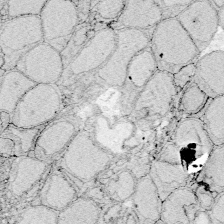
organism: Zebrafish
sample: Whole-Brain